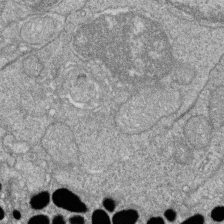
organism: Zebrafish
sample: Cilia; retinal pigment epithelium